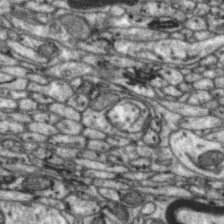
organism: Zebra finch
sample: Brain